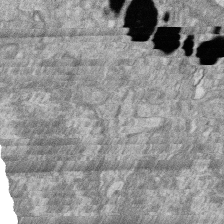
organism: Zebrafish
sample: Cilia; retinal pigment epithelium